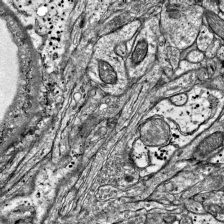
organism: Mouse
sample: Visual Cortex